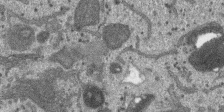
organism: Human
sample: Lung epithelial cells infected with SARS-CoV-2